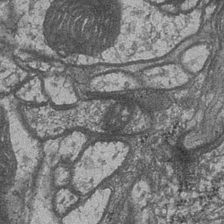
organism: Drosophila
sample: Optic medulla